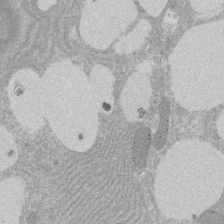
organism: Rat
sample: Salivary granule